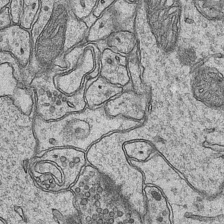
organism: Mouse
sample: CA1 Hippocampus